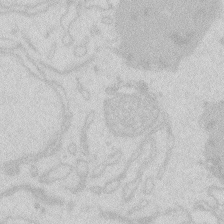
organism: Zebrafish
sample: Macrophage